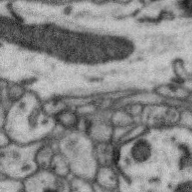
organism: Zebra finch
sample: Brain